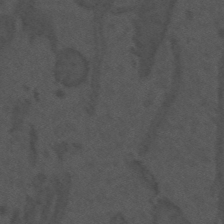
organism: Mouse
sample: Suprachiasmatic nucleus